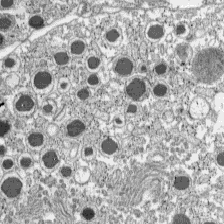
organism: C57BL Mouse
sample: Pancreatic islet